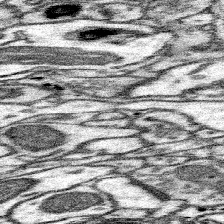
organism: Mouse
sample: Somatosensory cortex neuropil